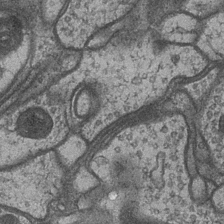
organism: Drosophila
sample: Optic medulla